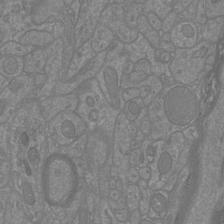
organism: Mouse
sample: Cortical neurons